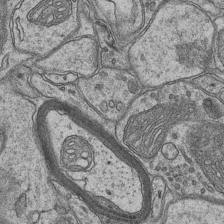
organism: Mouse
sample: CA1 Hippocampus